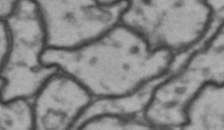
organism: Drosophila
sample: Brain